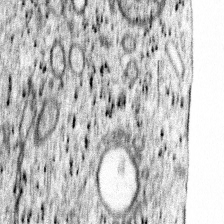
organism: Human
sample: HeLa cells